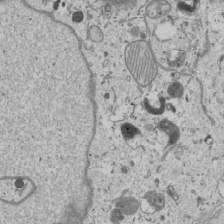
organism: Human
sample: Mitochondria in U2OS cells